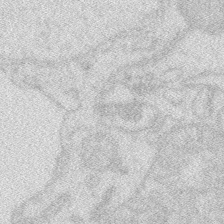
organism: Zebrafish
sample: Macrophage